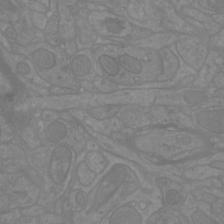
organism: Mouse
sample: Cortical neurons